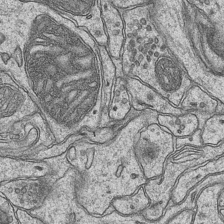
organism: Mouse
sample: CA1 Hippocampus